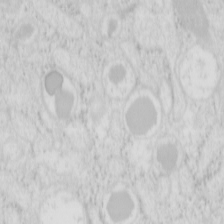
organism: Mouse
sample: Pancreas